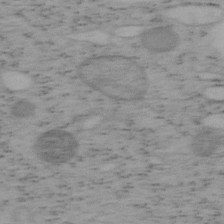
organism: Mouse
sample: OT-I killer T cells with ID8 ovarian cancer cells